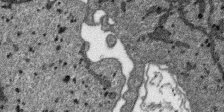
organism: Human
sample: Lung epithelial cells infected with SARS-CoV-2